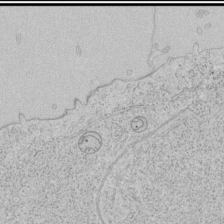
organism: Human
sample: Mitochondria in HCT116 cells